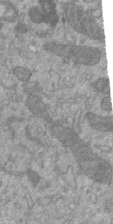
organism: Mouse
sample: ED-1 cell nuclei; centrioles